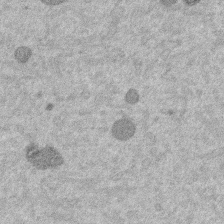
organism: Mouse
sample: Dividing mouse embryo 1 cell stage